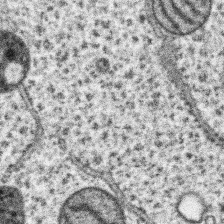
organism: Human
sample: HeLa cells